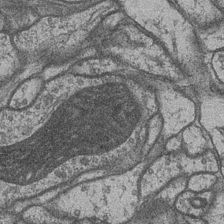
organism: Drosophila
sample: Optic medulla